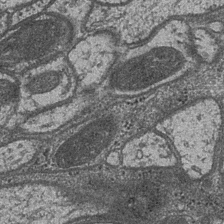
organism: Drosophila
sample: Optic medulla